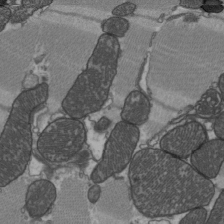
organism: C57BL Mouse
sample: Heart